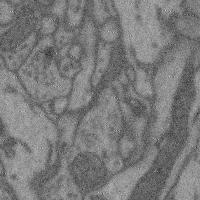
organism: Mouse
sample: Cerebral cortex